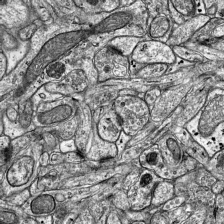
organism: Mouse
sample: Visual Cortex